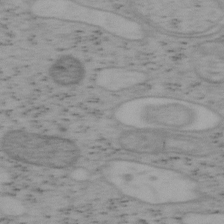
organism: Mouse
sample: OT-I killer T cells with ID8 ovarian cancer cells